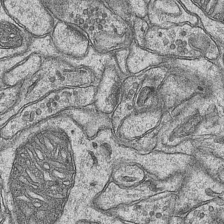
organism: Mouse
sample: CA1 Hippocampus